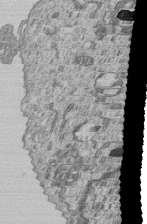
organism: Human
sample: MDA-MB-231 cells